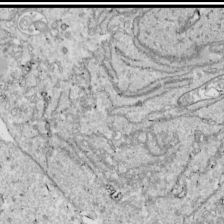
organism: Drosophila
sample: Cell division; meiosis; drosophila spermatocytes